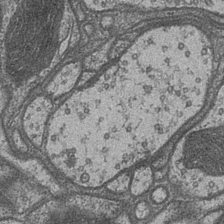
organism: Drosophila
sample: Optic medulla